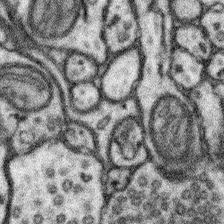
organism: Mouse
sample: Somatosensory cortex neuropil